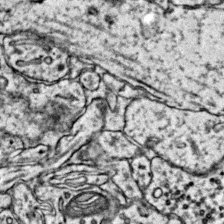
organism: Mouse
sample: Primary visual cortex